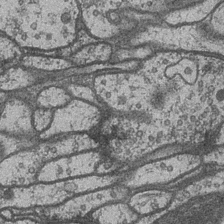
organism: Drosophila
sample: Optic medulla